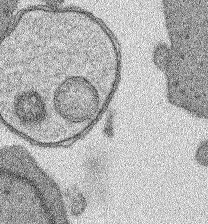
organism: Human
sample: HeLa cells